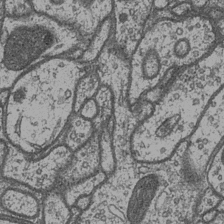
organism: Drosophila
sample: Optic medulla